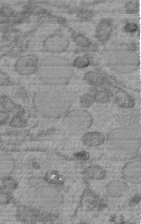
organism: C. elegans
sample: C. elegans embryo early stage